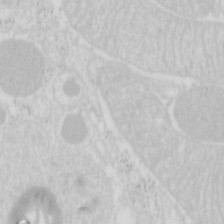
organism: Mouse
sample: Pancreas